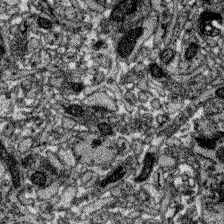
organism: Zebrafish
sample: Larval olfactory bulb